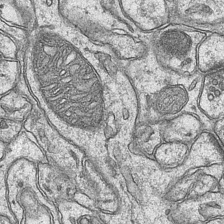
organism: Mouse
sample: CA1 Hippocampus